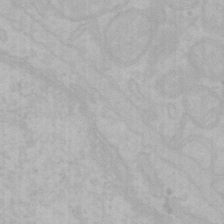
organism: Mouse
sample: Choroid plexus